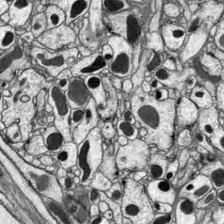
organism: Drosophila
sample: Optic lobe